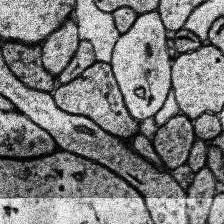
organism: Human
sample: Temporal Lobe